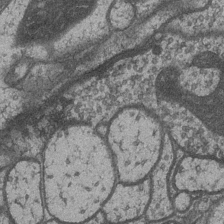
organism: Drosophila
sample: Optic medulla